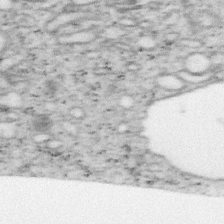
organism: Mouse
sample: OT-I killer T cells with ID8 ovarian cancer cells